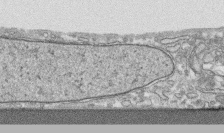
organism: Human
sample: CRL-1474